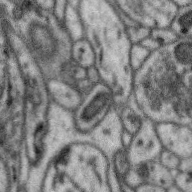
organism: Zebra finch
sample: Brain